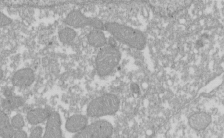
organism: Xenopus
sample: Cilia; centrioles in frog embryo cells